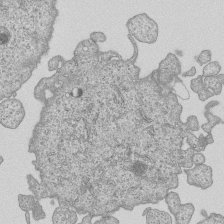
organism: Human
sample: MDA-MB-231 cells